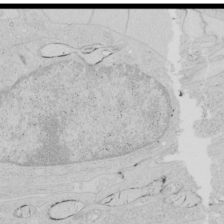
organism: Human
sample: Mitochondria in HCT116 cells